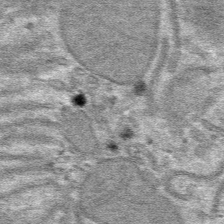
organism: Mouse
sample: Mouse hepatocytes